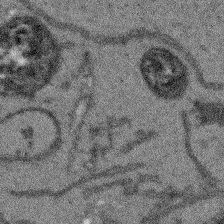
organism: Arabidopsis thaliana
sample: Root tip